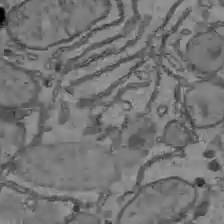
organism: C57BL Mouse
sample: Liver